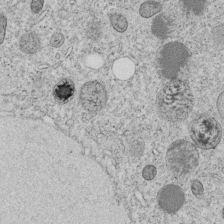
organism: C. elegans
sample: C. elegans embryo early stage